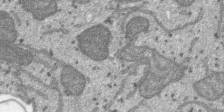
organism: Human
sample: Lung epithelial cells infected with SARS-CoV-2